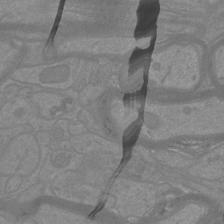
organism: Mouse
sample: Cortical neurons